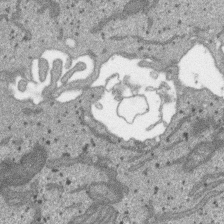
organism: Human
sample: Lung epithelial cells infected with SARS-CoV-2